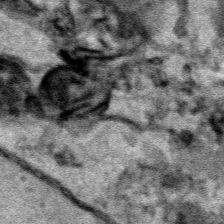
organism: Human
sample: Mitochondria in HCT116 cells